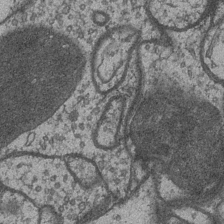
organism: Drosophila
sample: Optic medulla